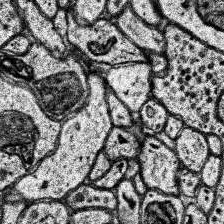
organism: Human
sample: Temporal Lobe